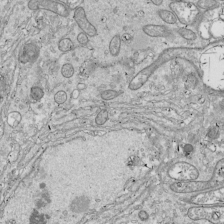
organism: Drosophila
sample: Cell division; meiosis; drosophila spermatocytes